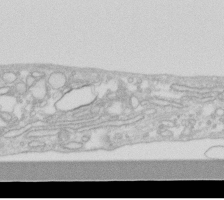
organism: Human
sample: Fibroblast cells